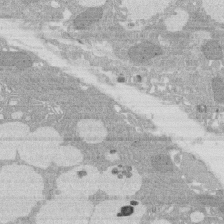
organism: Rat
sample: Salivary granule